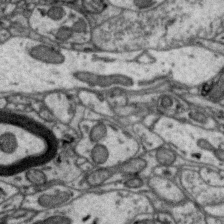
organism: Zebra finch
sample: Brain